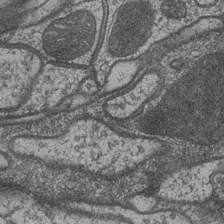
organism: Drosophila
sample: Optic medulla